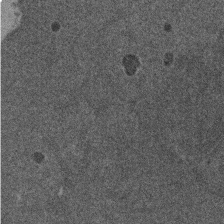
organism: Mouse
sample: Dividing mouse embryo 1 cell stage